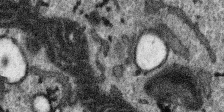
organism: Human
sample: Lung epithelial cells infected with SARS-CoV-2